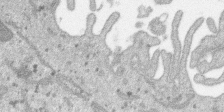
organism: Human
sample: Lung epithelial cells infected with SARS-CoV-2